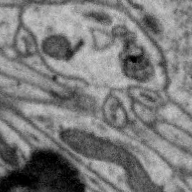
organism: Zebra finch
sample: Brain